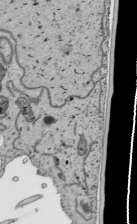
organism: Human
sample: Mitochondria in HCT116 cells